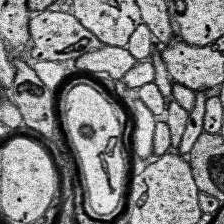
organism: Human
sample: Temporal Lobe